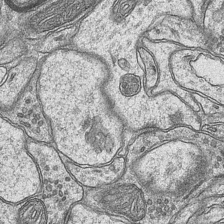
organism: Mouse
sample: CA1 Hippocampus